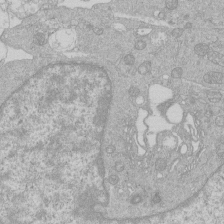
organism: Human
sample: Macrophage cells